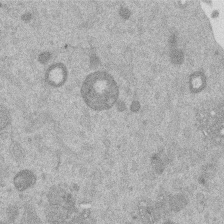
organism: Mouse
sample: Dividing mouse embryo 1 cell stage